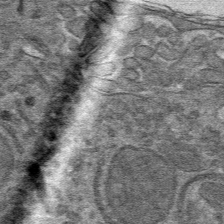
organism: Mouse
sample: Mouse hepatocytes